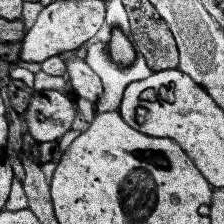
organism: Human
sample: Temporal Lobe